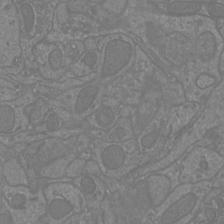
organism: Mouse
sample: Cortical neurons